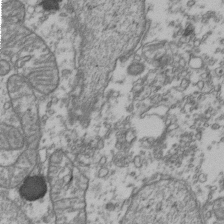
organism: Human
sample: Activated Jurkat CD4+ T cells